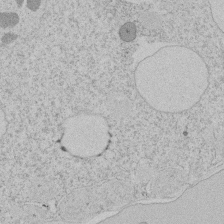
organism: Tetrahymena